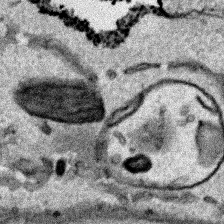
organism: Human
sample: Mitochondria in HCT116 cells